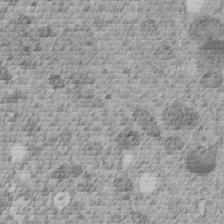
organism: C. elegans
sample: C. elegans embryo early stage